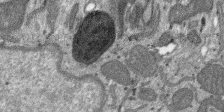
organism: Human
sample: Lung epithelial cells infected with SARS-CoV-2